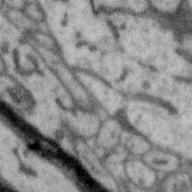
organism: Zebra finch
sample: Brain